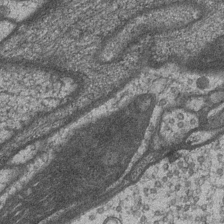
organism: Drosophila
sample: Optic medulla